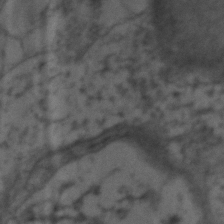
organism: Zebrafish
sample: Zebrafish embryo